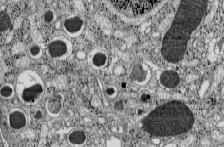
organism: C57BL Mouse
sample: Pancreatic islet